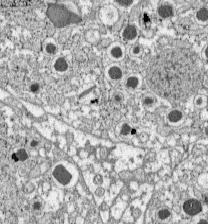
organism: C57BL Mouse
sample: Pancreatic islet